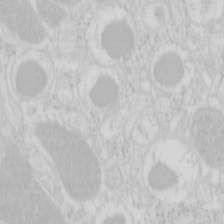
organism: Mouse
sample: Pancreas